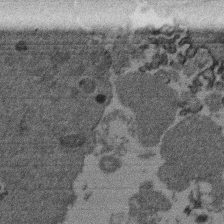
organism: Mouse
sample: Dividing mouse embryo 1 cell stage